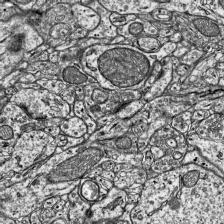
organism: Mouse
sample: Visual Cortex